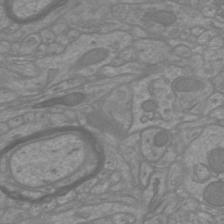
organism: Mouse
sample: Cortical neurons